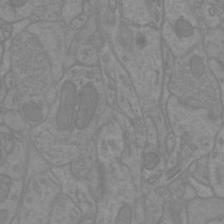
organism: Mouse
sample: Cortical neurons